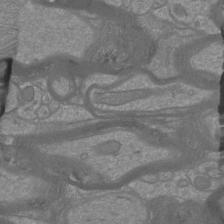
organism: Mouse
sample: Cortical neurons